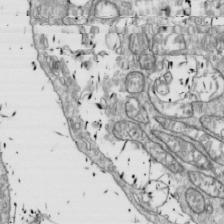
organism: Drosophila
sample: Cell division; meiosis; drosophila spermatocytes